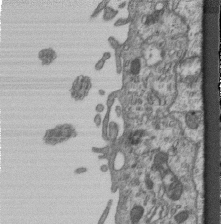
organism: Mouse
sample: Centriole in ependymal cells